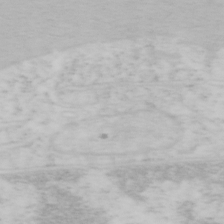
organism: Mouse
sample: OT-I killer T cells with ID8 ovarian cancer cells